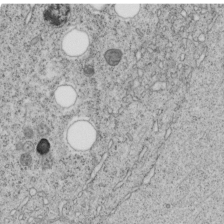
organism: C. elegans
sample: C. elegans embryo early stage